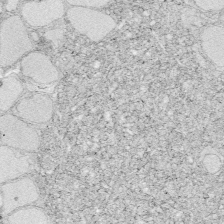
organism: Zebrafish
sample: Whole-Brain